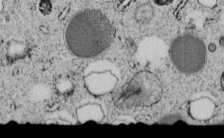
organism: C. elegans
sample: C. elegans embryo early stage